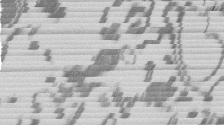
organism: Mouse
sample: Dividing mouse embryo 1 cell stage